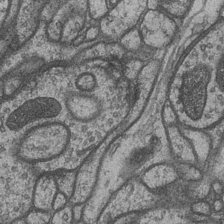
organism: Drosophila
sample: Optic medulla